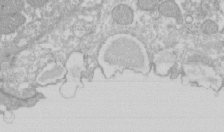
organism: Xenopus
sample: Cilia; centrioles in frog embryo cells